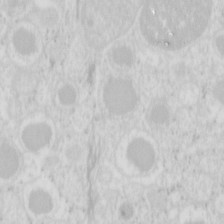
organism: Mouse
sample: Pancreas